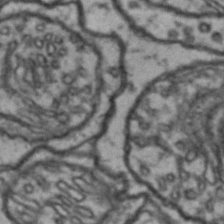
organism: Drosophila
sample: Brain